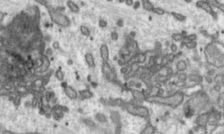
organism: Toxoplasma gondii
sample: Parasites in a vacuole inside a host cell